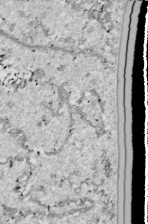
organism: Drosophila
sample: Cell division; meiosis; drosophila spermatocytes